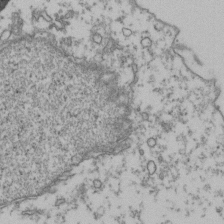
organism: Human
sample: Activated Jurkat CD4+ T cells